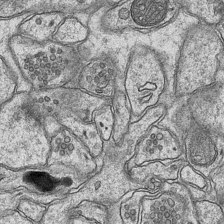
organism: Mouse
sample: CA1 Hippocampus